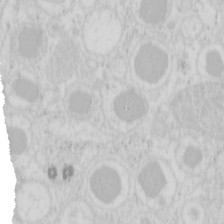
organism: Mouse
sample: Pancreas